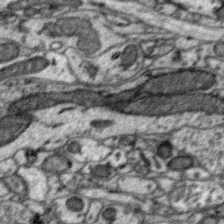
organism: Zebra finch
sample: Brain